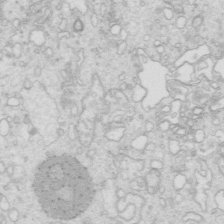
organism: Mouse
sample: Multiciliated cells